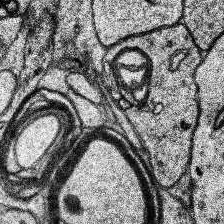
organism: Human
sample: Temporal Lobe